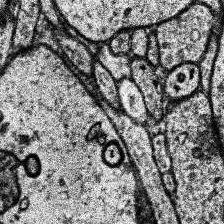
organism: Human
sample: Temporal Lobe